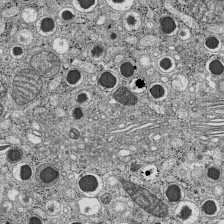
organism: C57BL Mouse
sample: Pancreatic islet